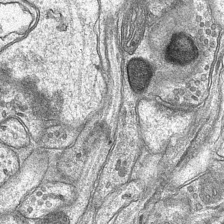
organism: Mouse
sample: CA1 Hippocampus